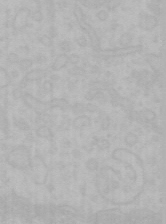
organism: Mouse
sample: Choroid plexus